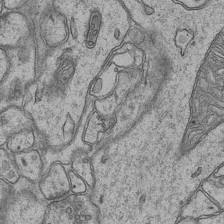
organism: Mouse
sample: CA1 Hippocampus